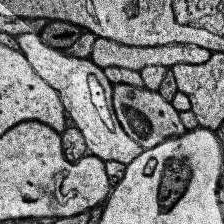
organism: Human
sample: Temporal Lobe